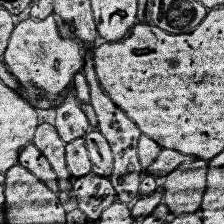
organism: Human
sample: Temporal Lobe